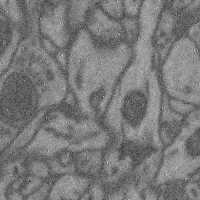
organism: Mouse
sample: Cerebral cortex